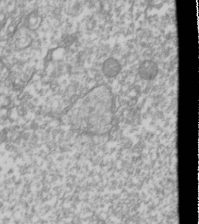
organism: Drosophila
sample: Cell division; meiosis; drosophila spermatocytes